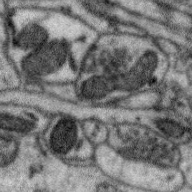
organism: Zebra finch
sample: Brain